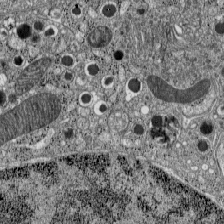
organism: C57BL Mouse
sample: Pancreatic islet